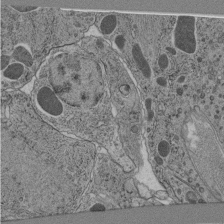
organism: C. elegans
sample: C. elegans pharynx